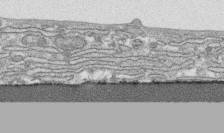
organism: Human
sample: CRL-1474